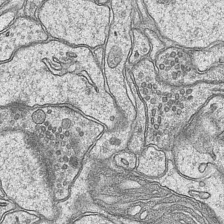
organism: Mouse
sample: CA1 Hippocampus